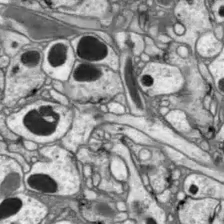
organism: Drosophila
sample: Optic lobe